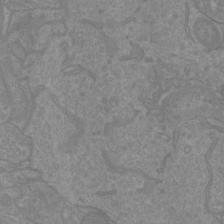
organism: Mouse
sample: Cortical neurons